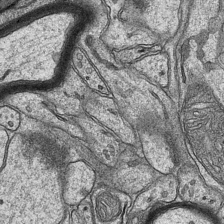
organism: Mouse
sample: CA1 Hippocampus